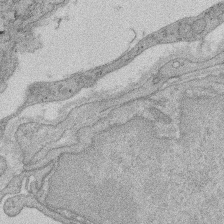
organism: Rat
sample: Salivary granule